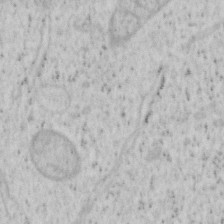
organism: Human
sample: HeLa cells